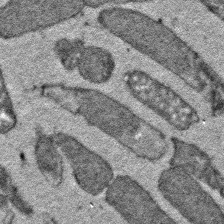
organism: E. coli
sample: E. Coli Bacteria